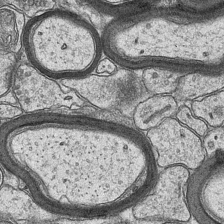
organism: Mouse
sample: CA1 Hippocampus